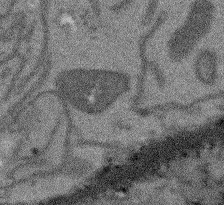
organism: Arabidopsis thaliana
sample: Root tip